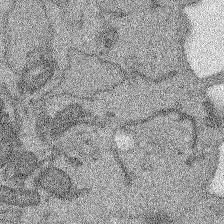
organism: Human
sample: HeLa cells